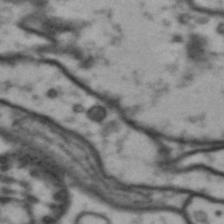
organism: Drosophila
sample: Brain